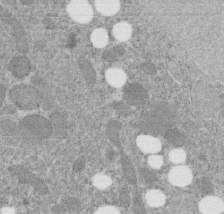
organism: C. elegans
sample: C. elegans embryo early stage